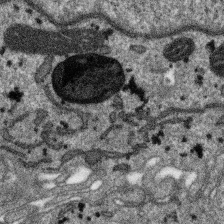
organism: Human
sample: Lung epithelial cells infected with SARS-CoV-2